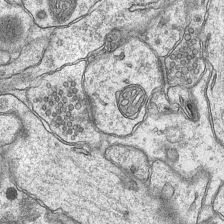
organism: Mouse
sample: CA1 Hippocampus